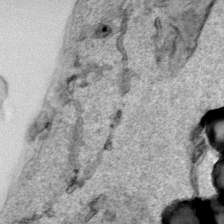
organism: Human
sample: Mitochondria in HCT116 cells